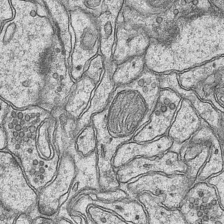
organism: Mouse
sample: CA1 Hippocampus